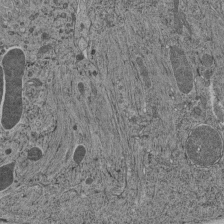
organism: C. elegans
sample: C. elegans pharynx